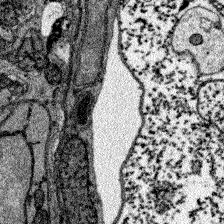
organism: Zebrafish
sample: Larval olfactory bulb